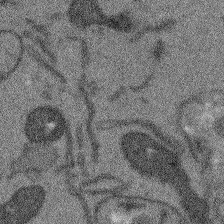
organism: Arabidopsis thaliana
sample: Root tip